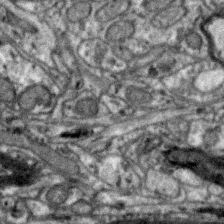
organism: Zebra finch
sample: Brain